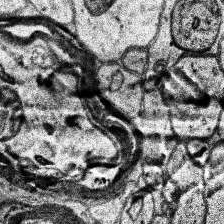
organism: Human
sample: Temporal Lobe